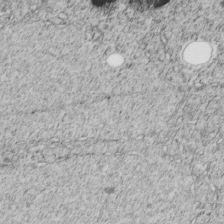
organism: C. elegans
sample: C. elegans embryo early stage